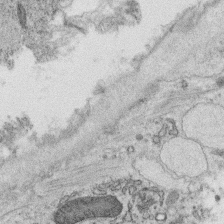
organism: C. elegans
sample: C. elegans oocyte; sperm cells